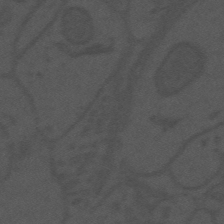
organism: Mouse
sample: Suprachiasmatic nucleus